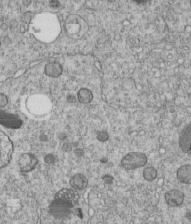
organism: C. elegans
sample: C. elegans embryo early stage